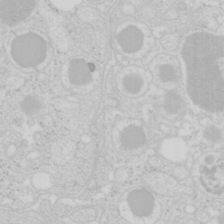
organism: Mouse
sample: Pancreas